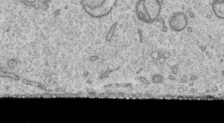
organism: Human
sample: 1205lu cells